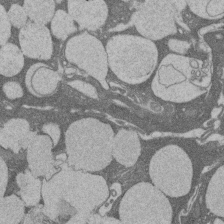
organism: Rat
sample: Salivary granule